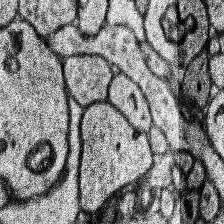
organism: Human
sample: Temporal Lobe